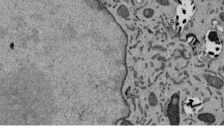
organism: Mouse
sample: ED-1 cell nuclei; centrioles